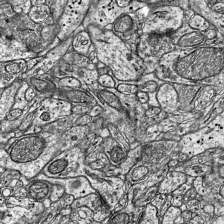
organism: Mouse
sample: Visual Cortex